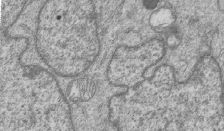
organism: Human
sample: MDA-MB-231 cells